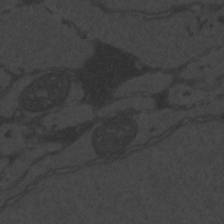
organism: Zebrafish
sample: Macrophage infected with Toxoplasma gondii